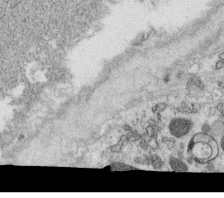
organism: C. elegans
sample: C. elegans oocyte; sperm cells